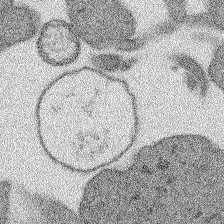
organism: Human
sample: HeLa cells